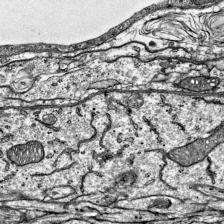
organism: Mouse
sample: Visual Cortex